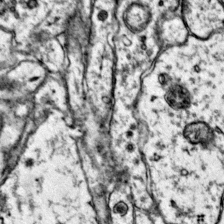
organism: Mouse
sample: Primary visual cortex